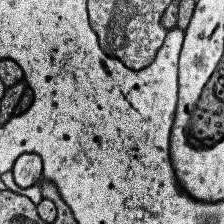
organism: Human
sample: Temporal Lobe